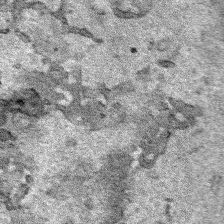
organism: Human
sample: Mitochondria in HCT116 cells